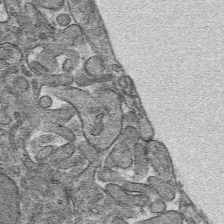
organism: Mouse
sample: Mouse hepatocytes